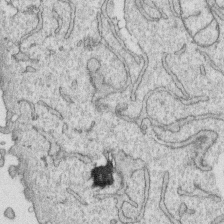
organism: Human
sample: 1205lu cells